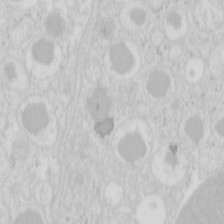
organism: Mouse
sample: Pancreas